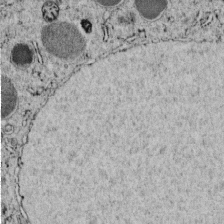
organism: C. elegans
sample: C. elegans embryo early stage